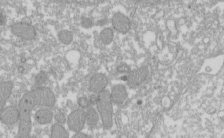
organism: Xenopus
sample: Cilia; centrioles in frog embryo cells